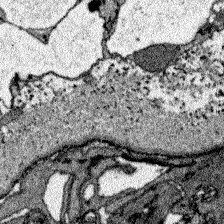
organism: Zebrafish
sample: Larval olfactory bulb